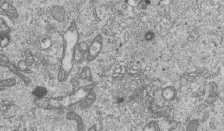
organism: Human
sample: MDA-MB-231 cells